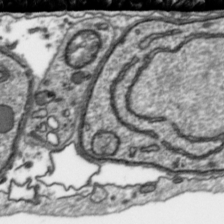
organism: Toxoplasma gondii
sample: Parasites in a vacuole inside a host cell